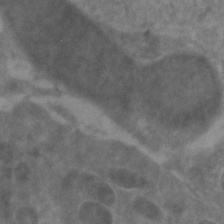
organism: Zebrafish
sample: Zebrafish embryo